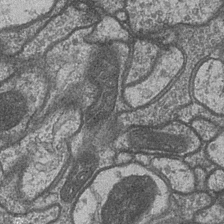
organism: Drosophila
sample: Optic medulla